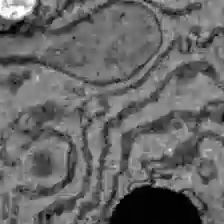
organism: C57BL Mouse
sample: Liver